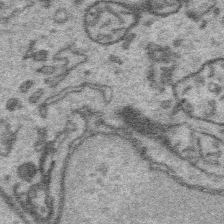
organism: Platynereis dumerilii